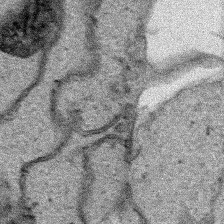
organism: Human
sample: Mitochondria in HCT116 cells